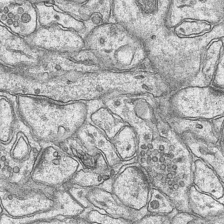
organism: Mouse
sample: CA1 Hippocampus